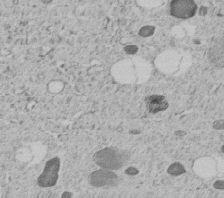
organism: C. elegans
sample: C. elegans embryo early stage